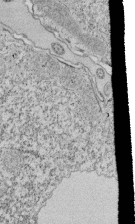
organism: Tetrahymena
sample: Cilia in tetrahymena